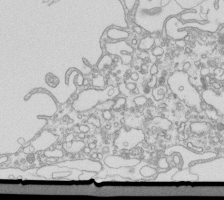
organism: Mouse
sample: Macrophages